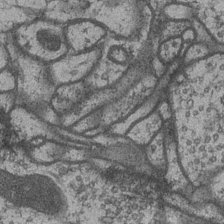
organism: Drosophila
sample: Optic medulla